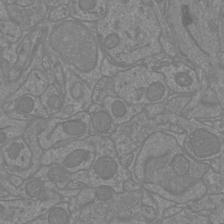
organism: Mouse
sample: Cortical neurons